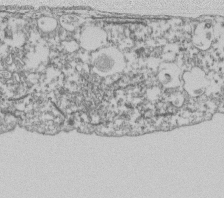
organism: Dictyostelium discoideum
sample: Dictyostelium multivesicular bodies